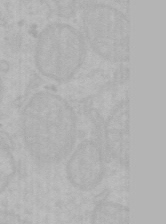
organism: Mouse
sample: Choroid plexus